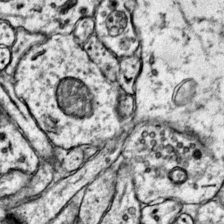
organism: Mouse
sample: Primary visual cortex